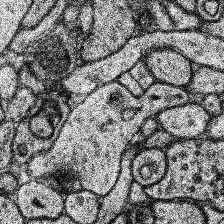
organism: Human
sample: Temporal Lobe